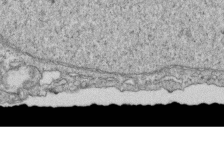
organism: Human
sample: HeLa cell HIV synapse